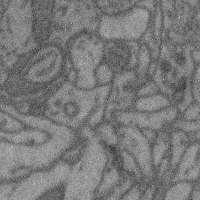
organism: Mouse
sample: Cerebral cortex